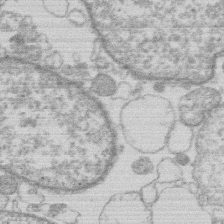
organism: Human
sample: Macrophage cells